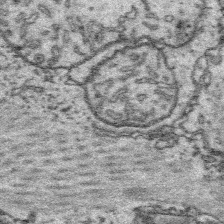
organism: Platynereis dumerilii